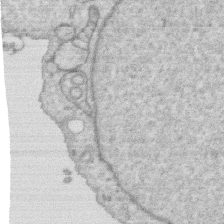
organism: Human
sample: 1205lu cells